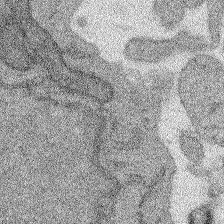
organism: Human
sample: HeLa cells